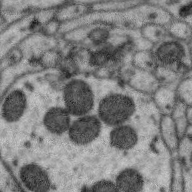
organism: Zebra finch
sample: Brain